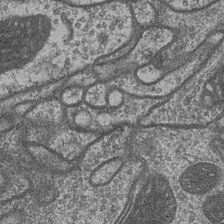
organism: Drosophila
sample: Optic medulla